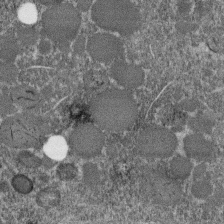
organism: C. elegans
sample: C. elegans embryo early stage